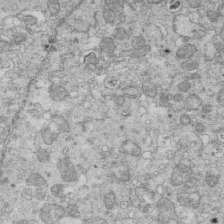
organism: Mouse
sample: Multiciliated cells